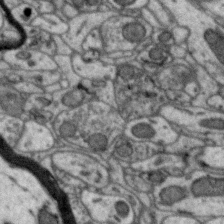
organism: Zebra finch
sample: Brain